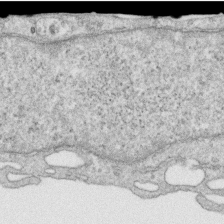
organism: Human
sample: Centriole in RPE cells